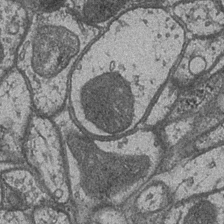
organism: Drosophila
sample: Optic medulla